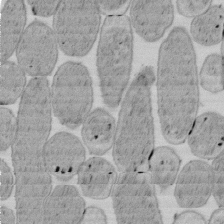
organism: E. coli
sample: Bacterial nucleoid